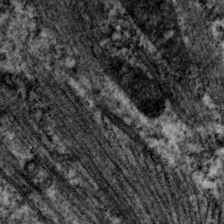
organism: C. elegans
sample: Pharynx